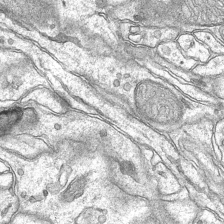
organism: Mouse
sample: CA1 Hippocampus